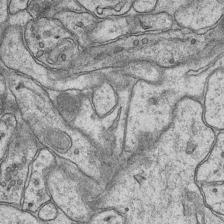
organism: Mouse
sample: CA1 Hippocampus